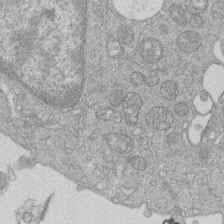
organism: Human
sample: Macrophage cells